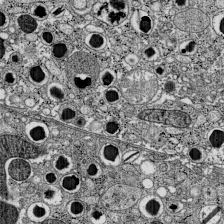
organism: C57BL Mouse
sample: Pancreatic islet